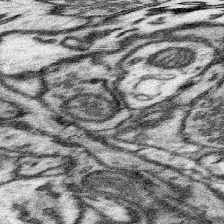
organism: Mouse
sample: Somatosensory cortex neuropil